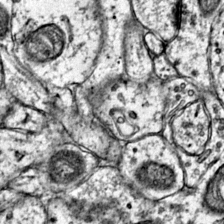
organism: Mouse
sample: Primary visual cortex